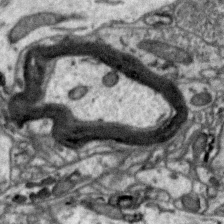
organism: Zebra finch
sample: Brain